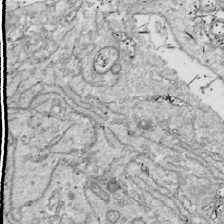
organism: Drosophila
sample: Cell division; meiosis; drosophila spermatocytes